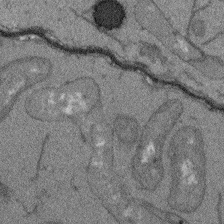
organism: Arabidopsis thaliana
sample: Root tip